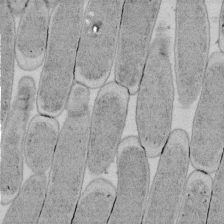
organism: E. coli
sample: Bacterial nucleoid